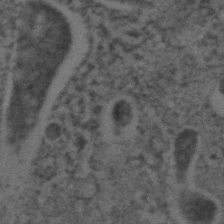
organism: C. elegans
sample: C. elegans embryo